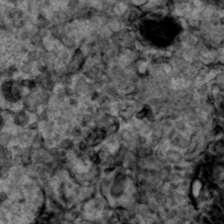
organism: Human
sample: Mitochondria in HCT116 cells